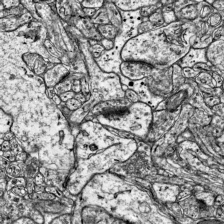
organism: Mouse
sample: Visual Cortex